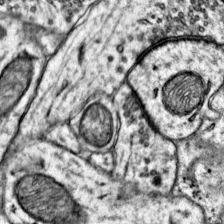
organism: Mouse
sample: Primary visual cortex